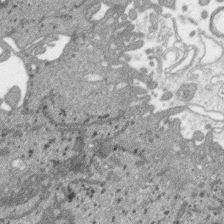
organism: Human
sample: Lung epithelial cells infected with SARS-CoV-2